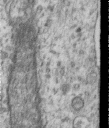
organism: Human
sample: Centriole in RPE cells